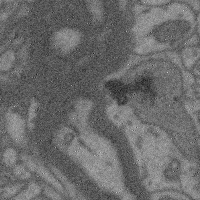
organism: Mouse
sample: Cerebral cortex